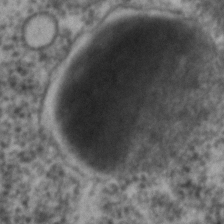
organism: C. elegans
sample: C. elegans embryo